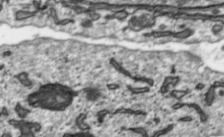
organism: Toxoplasma gondii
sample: Parasites in a vacuole inside a host cell